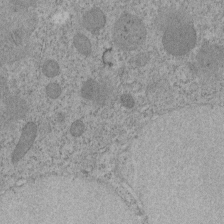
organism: C. elegans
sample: C. elegans embryo early stage